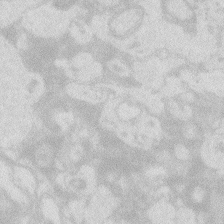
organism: Zebrafish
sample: Macrophage